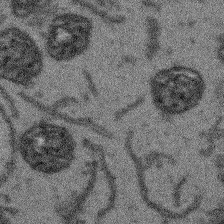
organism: Arabidopsis thaliana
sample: Root tip